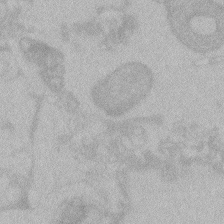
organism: Zebrafish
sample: Macrophage infected with Toxoplasma gondii